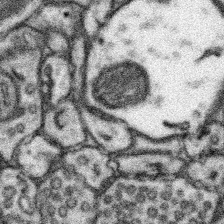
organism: Mouse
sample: Somatosensory cortex neuropil